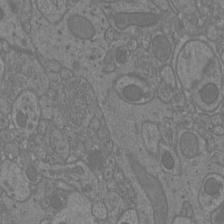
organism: Mouse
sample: Cortical neurons